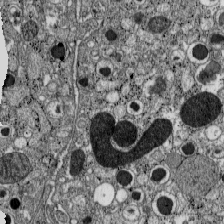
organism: C57BL Mouse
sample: Pancreatic islet